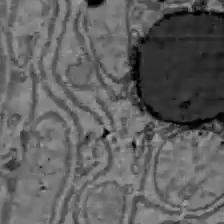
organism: C57BL Mouse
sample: Liver